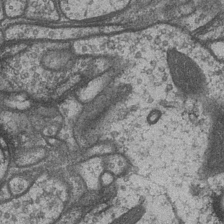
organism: Drosophila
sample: Optic medulla